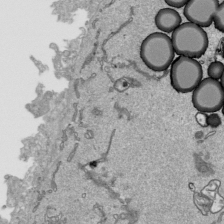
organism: Human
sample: Mitochondria in HCT116 cells